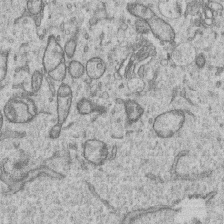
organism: Human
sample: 1205lu cells